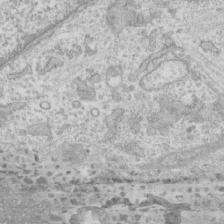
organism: Human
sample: CRL-1474